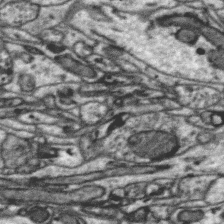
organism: Zebra finch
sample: Brain